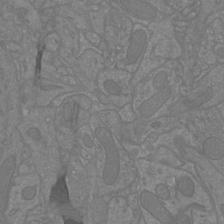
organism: Mouse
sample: Cortical neurons